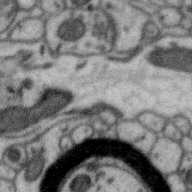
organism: Zebra finch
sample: Brain